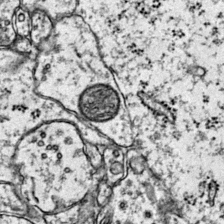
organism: Mouse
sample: Primary visual cortex